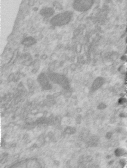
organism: Human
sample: Centriole in RPE cells